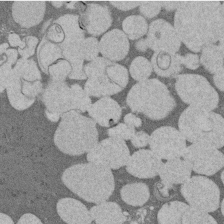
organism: Rat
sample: Salivary granule